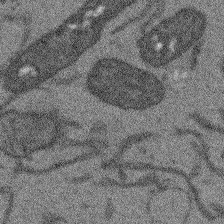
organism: Arabidopsis thaliana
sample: Root tip